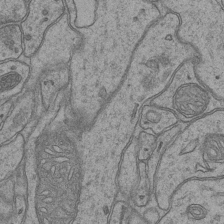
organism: Mouse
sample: CA1 Hippocampus